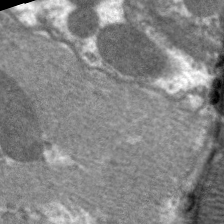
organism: C. elegans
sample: Pharynx